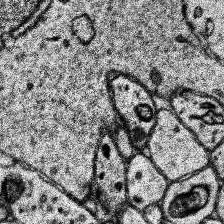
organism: Human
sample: Temporal Lobe